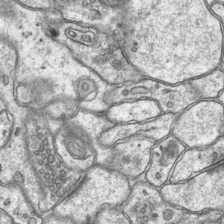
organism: Mouse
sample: CA1 Hippocampus